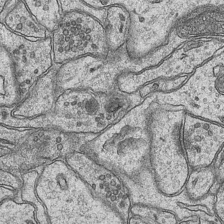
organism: Mouse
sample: CA1 Hippocampus